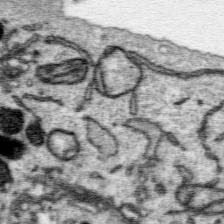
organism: Human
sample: HeLa cells